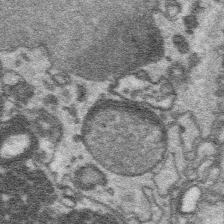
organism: Platynereis dumerilii